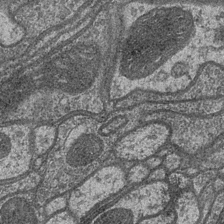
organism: Drosophila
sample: Optic medulla